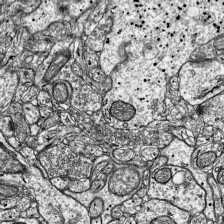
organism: Mouse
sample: Visual Cortex